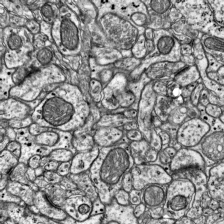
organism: Mouse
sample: Visual Cortex